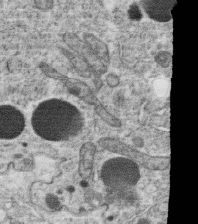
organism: C. elegans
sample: C. elegans oocyte; sperm cells